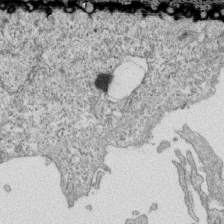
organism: Human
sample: HeLa cell HIV synapse